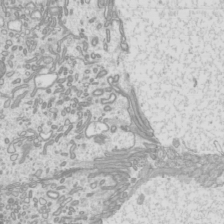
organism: Mouse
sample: Cilia; mouse epididymis